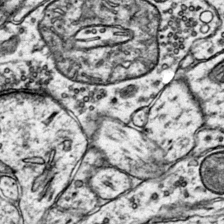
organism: Mouse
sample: Primary visual cortex